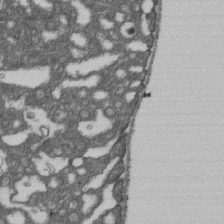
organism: Drosophila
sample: Nephrocyte